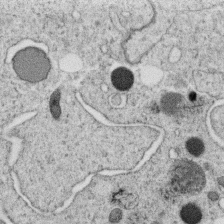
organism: C. elegans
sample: C. elegans oocyte; sperm cells